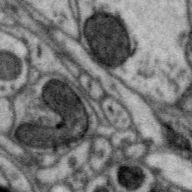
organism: Zebra finch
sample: Brain